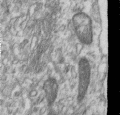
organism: Human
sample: Centriole in RPE cells